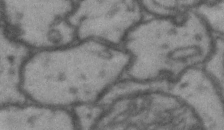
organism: Drosophila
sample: Brain